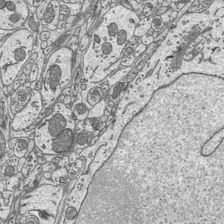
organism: Mouse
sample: Suprachiasmatic nucleus